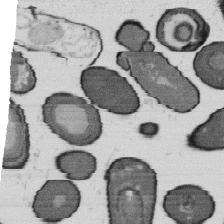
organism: B. subtilis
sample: Bacterial spore